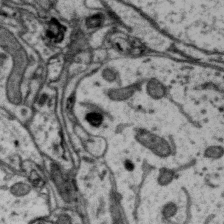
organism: Zebra finch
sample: Brain